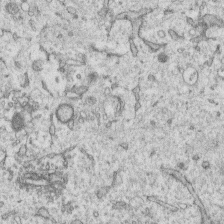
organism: Human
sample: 1205lu cells